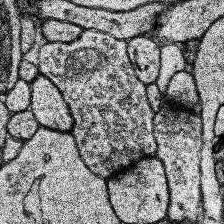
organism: Human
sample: Temporal Lobe